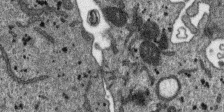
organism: Human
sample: Lung epithelial cells infected with SARS-CoV-2